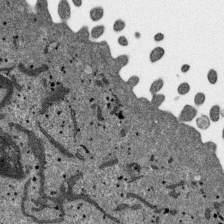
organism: Human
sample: Lung epithelial cells, uninfected (mock) control